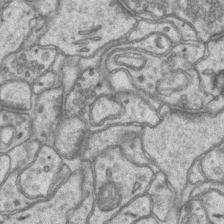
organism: Mouse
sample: CA1 Hippocampus